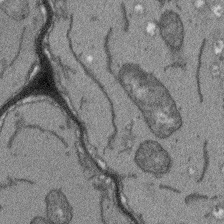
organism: Arabidopsis thaliana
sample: Root tip